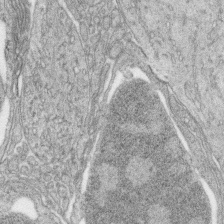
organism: Zebrafish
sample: synaptic ribbons in rod cells and cone cells